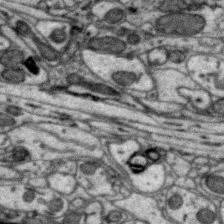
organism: Zebra finch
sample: Brain